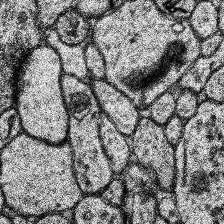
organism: Human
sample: Temporal Lobe